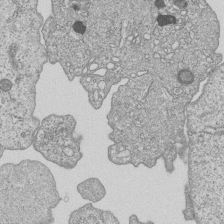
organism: Human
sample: MDA-MB-231 cells